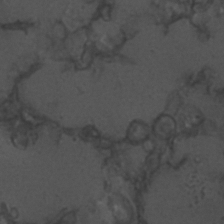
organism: C. elegans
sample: C. elegans embryo